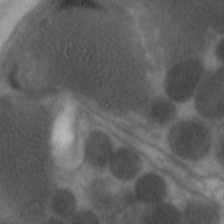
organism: C. elegans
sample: Pharynx